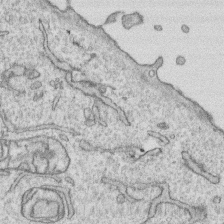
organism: Human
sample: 1205lu cells